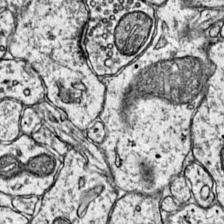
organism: Mouse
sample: Primary visual cortex